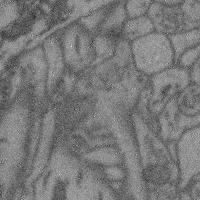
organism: Mouse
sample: Cerebral cortex